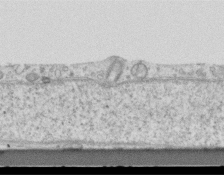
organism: Mouse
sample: Centriole in ependymal cells